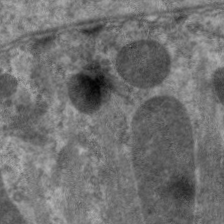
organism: C. elegans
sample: Pharynx